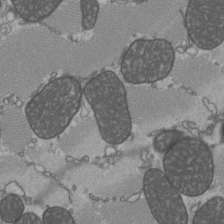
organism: C57BL Mouse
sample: Heart